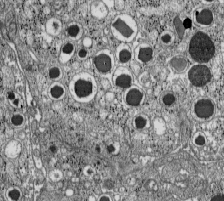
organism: C57BL Mouse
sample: Pancreatic islet